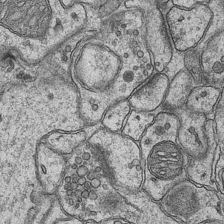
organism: Mouse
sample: CA1 Hippocampus